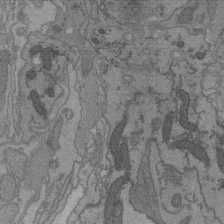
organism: C. elegans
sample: AFD neurons C. elegans